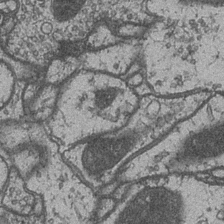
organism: Drosophila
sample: Optic medulla